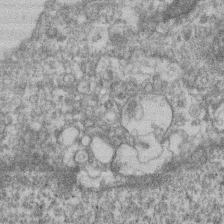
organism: Mouse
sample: T cell stromal cell synapse